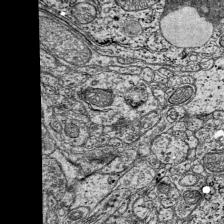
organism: Mouse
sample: Visual Cortex